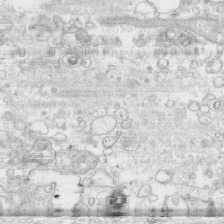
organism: Human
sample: CRL-1474